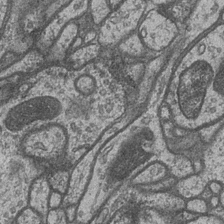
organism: Drosophila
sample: Optic medulla